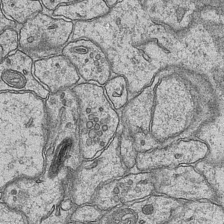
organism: Mouse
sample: CA1 Hippocampus